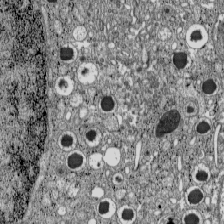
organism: C57BL Mouse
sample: Pancreatic islet